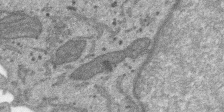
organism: Human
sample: Lung epithelial cells infected with SARS-CoV-2